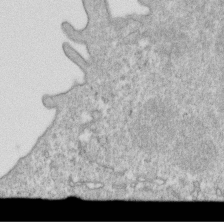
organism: Mouse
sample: Activated OT-1 CD8+ T cells